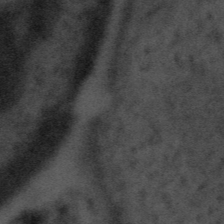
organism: Tuwongella immobilis